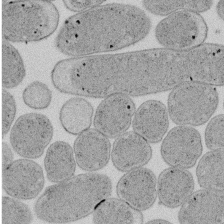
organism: E. coli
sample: Bacterial nucleoid